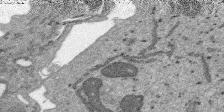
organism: Human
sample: Lung epithelial cells infected with SARS-CoV-2